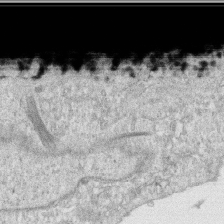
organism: Human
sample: HeLa cell HIV synapse